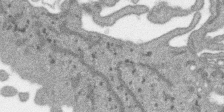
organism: Human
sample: Lung epithelial cells infected with SARS-CoV-2